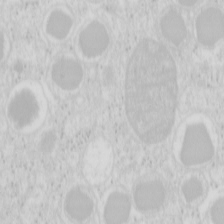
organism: Mouse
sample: Pancreas